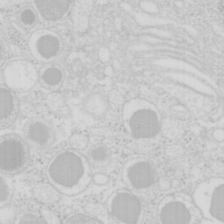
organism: Mouse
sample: Pancreas